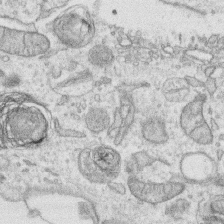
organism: Human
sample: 1205lu cells